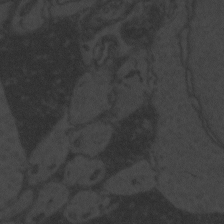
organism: Zebrafish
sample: Macrophage infected with Toxoplasma gondii